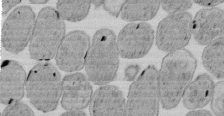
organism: E. coli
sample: Bacterial nucleoid